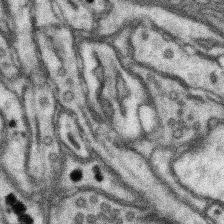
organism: Mouse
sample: Somatosensory cortex neuropil